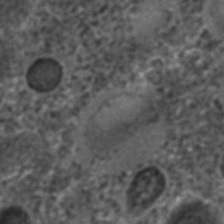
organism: C. elegans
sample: C. elegans embryo